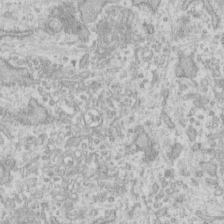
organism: Human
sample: Fibroblast cells